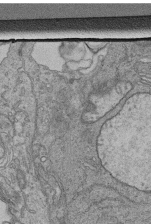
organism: Human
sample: Retinal organoid Rod and Cone cells